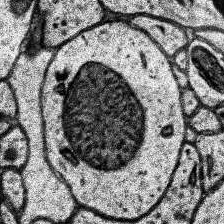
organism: Human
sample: Temporal Lobe